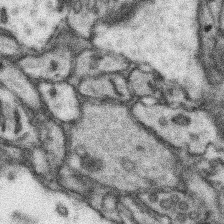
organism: Mouse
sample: Somatosensory cortex neuropil